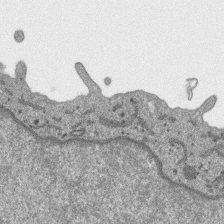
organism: Human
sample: Lung epithelial cells infected with SARS-CoV-2